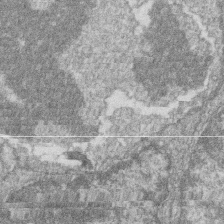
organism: Zebrafish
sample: Cilia; retinal pigment epithelium